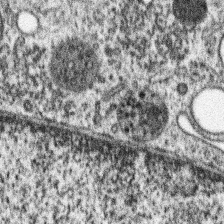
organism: Human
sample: HeLa cells